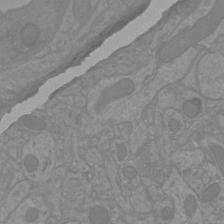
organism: Mouse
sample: Cortical neurons